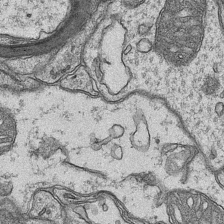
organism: Mouse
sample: CA1 Hippocampus